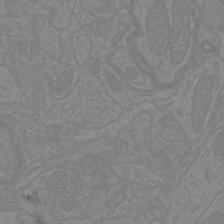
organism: Mouse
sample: Cortical neurons